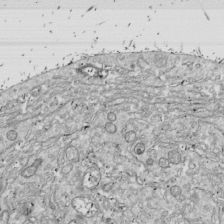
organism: Drosophila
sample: Cell division; meiosis; drosophila spermatocytes